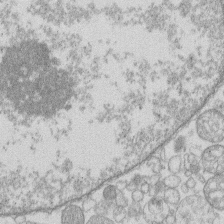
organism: Human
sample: Macrophage cells